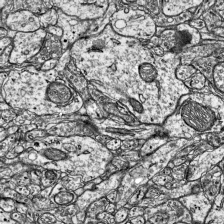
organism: Mouse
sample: Visual Cortex